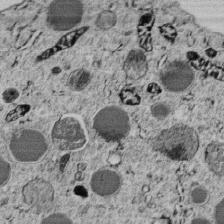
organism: C. elegans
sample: C. elegans embryo early stage